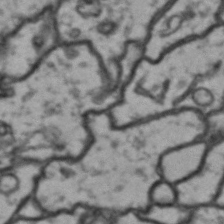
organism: Drosophila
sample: Brain